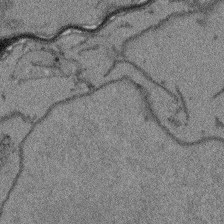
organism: Arabidopsis thaliana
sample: Root tip